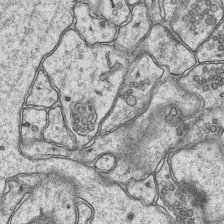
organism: Mouse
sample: CA1 Hippocampus